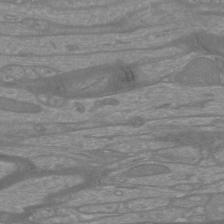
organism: Mouse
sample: Cortical neurons